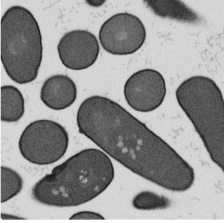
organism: B. subtilis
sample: Bacterial spore